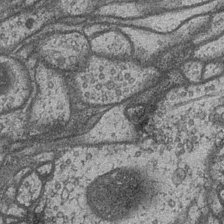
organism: Drosophila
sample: Optic medulla